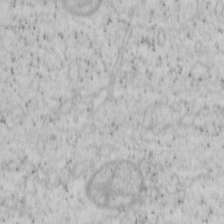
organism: Human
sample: HeLa cells